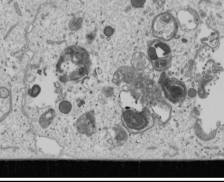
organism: Human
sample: Mitochondria in U2OS cells